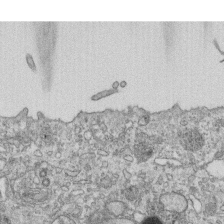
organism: Human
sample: HeLa cell HIV synapse